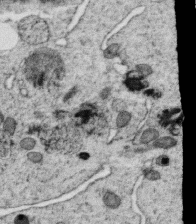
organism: C. elegans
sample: C. elegans oocyte; sperm cells